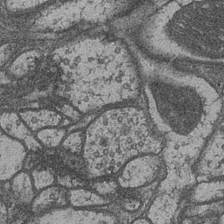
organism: Drosophila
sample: Optic medulla